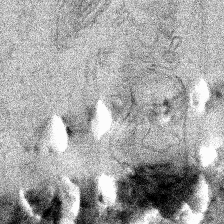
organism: Human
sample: Mitochondria in HCT116 cells